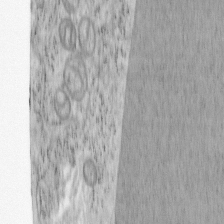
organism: Human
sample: HeLa cells